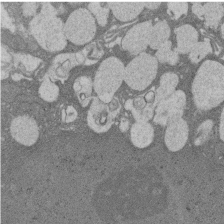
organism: Rat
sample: Salivary granule